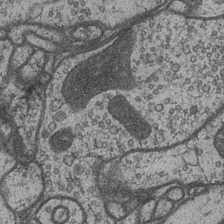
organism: Drosophila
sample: Optic medulla